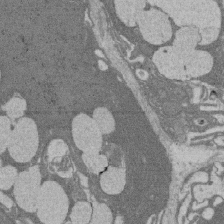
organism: Rat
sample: Salivary granule